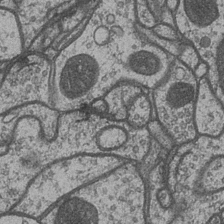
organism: Drosophila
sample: Optic medulla